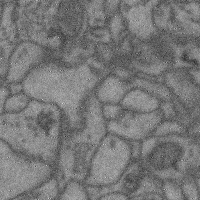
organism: Mouse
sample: Cerebral cortex